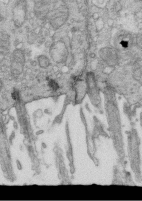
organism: Mouse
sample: Multiciliated cells